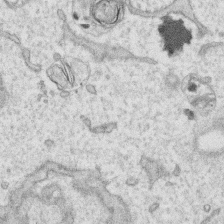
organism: Human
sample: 1205lu cells